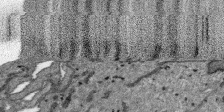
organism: Human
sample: Lung epithelial cells, uninfected (mock) control